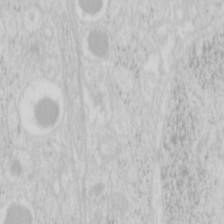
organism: Mouse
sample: Pancreas